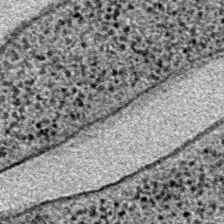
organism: E. coli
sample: E. Coli Bacteria